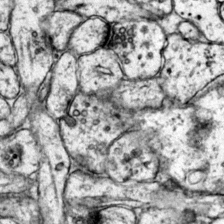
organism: Mouse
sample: Primary visual cortex